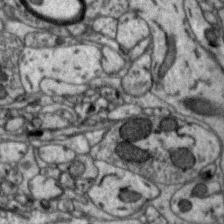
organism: Zebra finch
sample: Brain